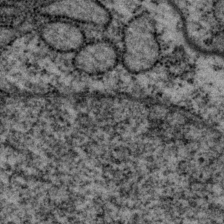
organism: P. pacificus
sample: Pharynx